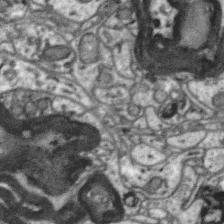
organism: Zebra finch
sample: Brain